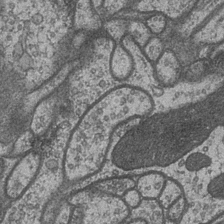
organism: Drosophila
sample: Optic medulla